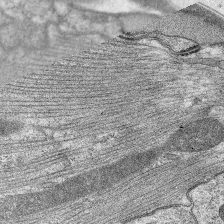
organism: C. elegans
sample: Pharynx